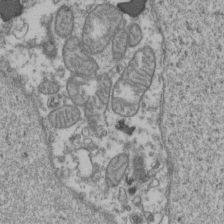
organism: Human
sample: Activated Jurkat CD4+ T cells